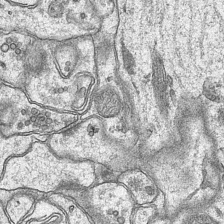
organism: Mouse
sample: CA1 Hippocampus